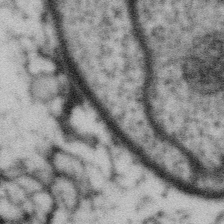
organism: Gemmata obscuriglobus